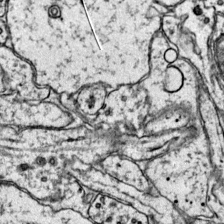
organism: Mouse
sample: Primary visual cortex